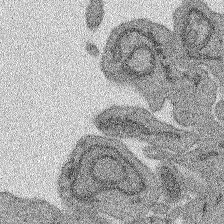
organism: Human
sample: HeLa cells